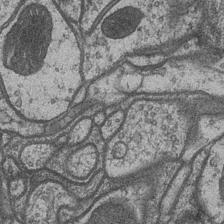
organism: Drosophila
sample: Optic medulla